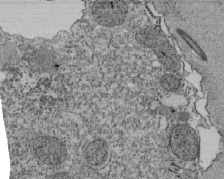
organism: Tetrahymena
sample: Cilia in tetrahymena